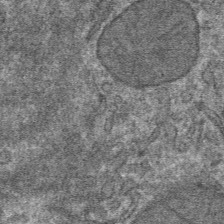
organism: Mouse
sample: Mouse hepatocytes